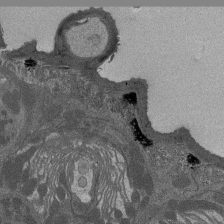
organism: Drosophila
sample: Antenna